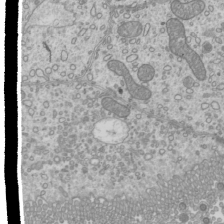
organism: Mouse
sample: Cilia; mouse epididymis